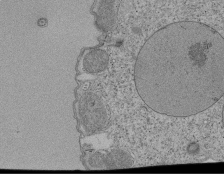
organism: Tetrahymena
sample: Cilia in tetrahymena